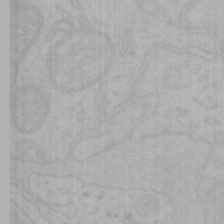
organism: Mouse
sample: Choroid plexus